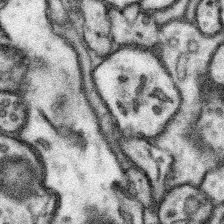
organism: Mouse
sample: Somatosensory cortex neuropil